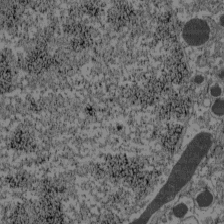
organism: C57BL Mouse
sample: Pancreatic islet